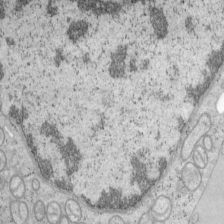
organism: Mouse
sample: OT-I killer T cells with ID8 ovarian cancer cells